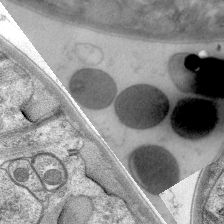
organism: C. elegans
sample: Pharynx